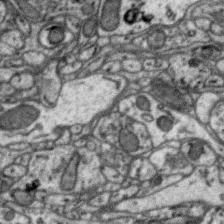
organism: Zebra finch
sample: Brain